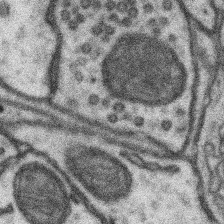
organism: Mouse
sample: Somatosensory cortex neuropil